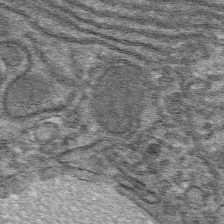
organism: Mouse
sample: Mouse hepatocytes